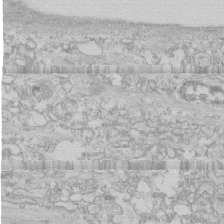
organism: Human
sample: CRL-1474